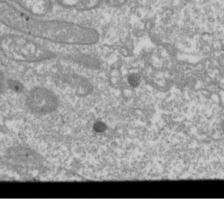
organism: Drosophila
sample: Cell division; meiosis; drosophila spermatocytes